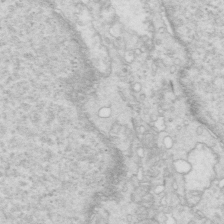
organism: Mouse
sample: Multiciliated cells